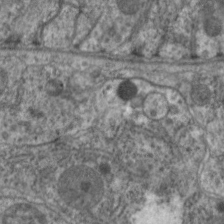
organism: C. elegans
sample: Pharynx